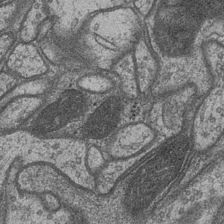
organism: Drosophila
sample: Optic medulla